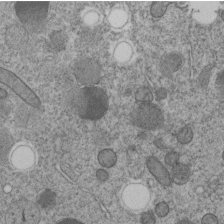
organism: C. elegans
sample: C. elegans embryo early stage